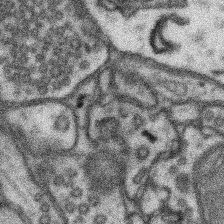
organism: Mouse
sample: Somatosensory cortex neuropil